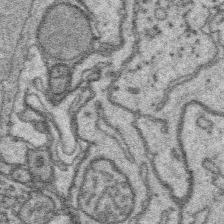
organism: Platynereis dumerilii